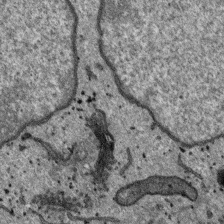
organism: Human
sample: Lung epithelial cells, uninfected (mock) control